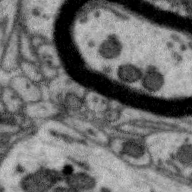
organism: Zebra finch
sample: Brain